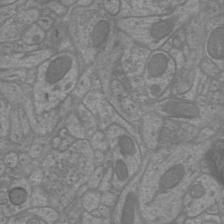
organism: Mouse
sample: Cortical neurons